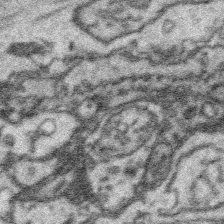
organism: Platynereis dumerilii